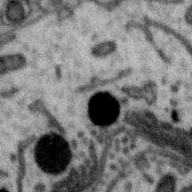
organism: Zebra finch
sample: Brain